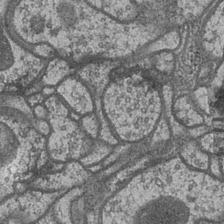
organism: Drosophila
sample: Optic medulla